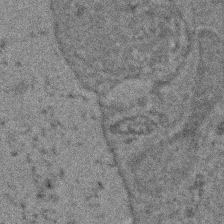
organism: Zebrafish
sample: Zebrafish embryo